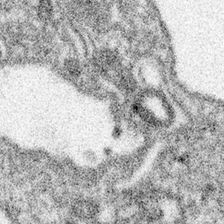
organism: Spongilla lacustris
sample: Neuroid cell